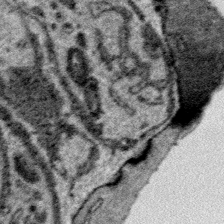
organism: Plasmodium falciparum